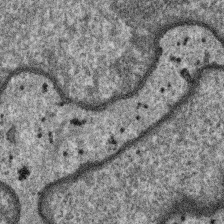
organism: Human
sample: Lung epithelial cells infected with SARS-CoV-2